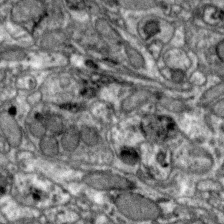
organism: Zebra finch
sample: Brain